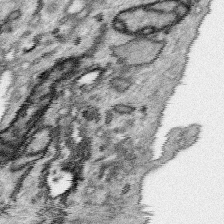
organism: Human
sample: HeLa cells